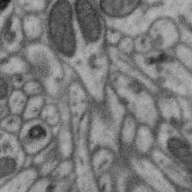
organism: Zebra finch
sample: Brain